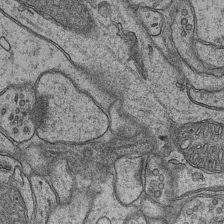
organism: Mouse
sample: CA1 Hippocampus